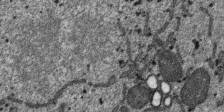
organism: Human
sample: Lung epithelial cells infected with SARS-CoV-2